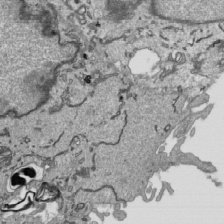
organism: Human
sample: Mitochondria in HCT116 cells